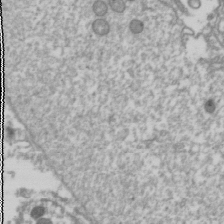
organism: Drosophila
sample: Cell division; meiosis; drosophila spermatocytes